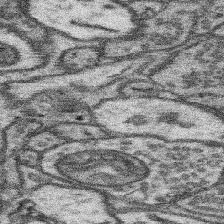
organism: Mouse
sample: Somatosensory cortex neuropil